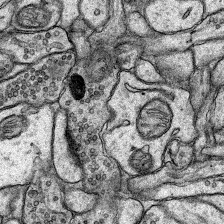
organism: Rat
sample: Hippocampus